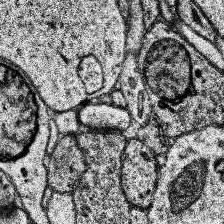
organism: Human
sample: Temporal Lobe